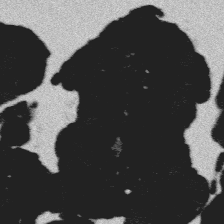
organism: Platynereis dumerilii